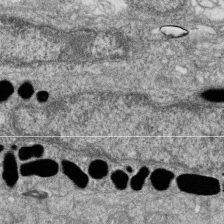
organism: Zebrafish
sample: Cilia; retinal pigment epithelium